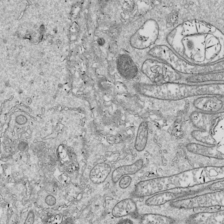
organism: Drosophila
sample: Cell division; meiosis; drosophila spermatocytes